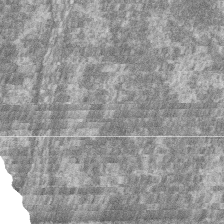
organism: Zebrafish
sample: Cilia; retinal pigment epithelium